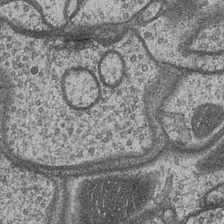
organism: Drosophila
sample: Optic medulla